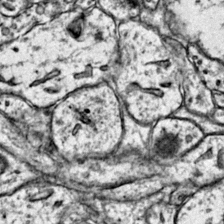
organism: Mouse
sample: Primary visual cortex